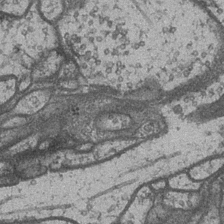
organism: Drosophila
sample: Optic medulla